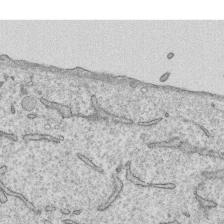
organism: Human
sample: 1205lu cells